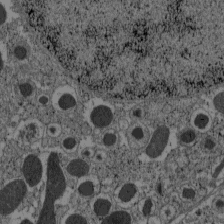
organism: C57BL Mouse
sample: Pancreatic islet